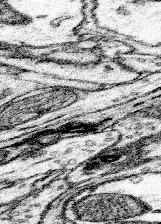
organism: Mouse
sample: Somatosensory cortex neuropil